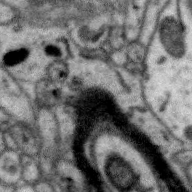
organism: Zebra finch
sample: Brain